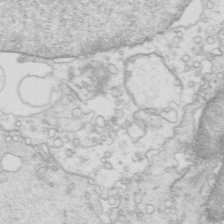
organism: Mouse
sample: Multiciliated cells